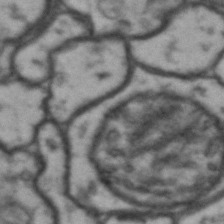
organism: Drosophila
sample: Brain